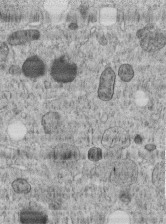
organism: C. elegans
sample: C. elegans embryo early stage